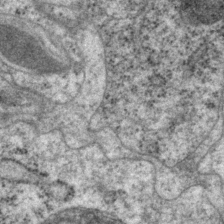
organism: P. pacificus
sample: Pharynx